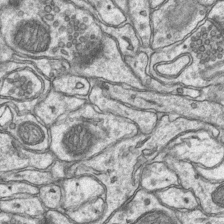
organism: Mouse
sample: CA1 Hippocampus